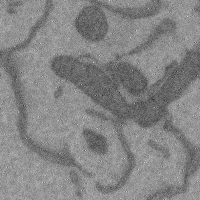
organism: Mouse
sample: Cerebral cortex